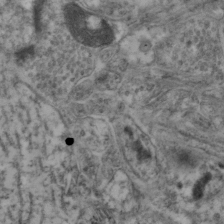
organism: Mouse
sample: Neocortex